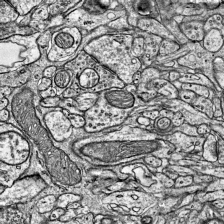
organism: Mouse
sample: Visual Cortex